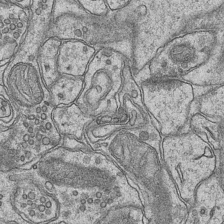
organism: Mouse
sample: CA1 Hippocampus